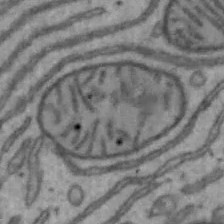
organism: Mouse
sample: Liver